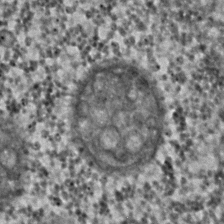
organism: C. elegans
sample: C. elegans embryo